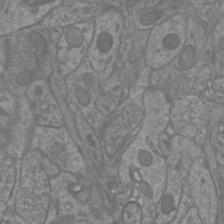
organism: Mouse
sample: Cortical neurons